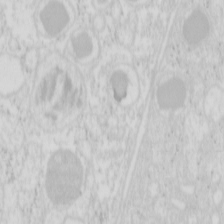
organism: Mouse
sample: Pancreas